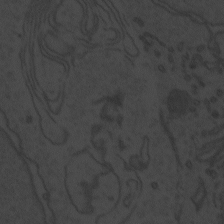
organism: Zebrafish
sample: Macrophage infected with Toxoplasma gondii